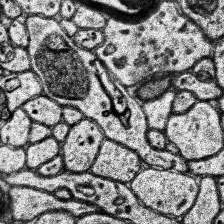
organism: Human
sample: Temporal Lobe